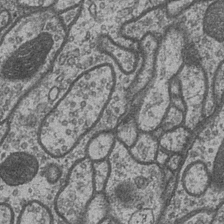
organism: Drosophila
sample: Optic medulla